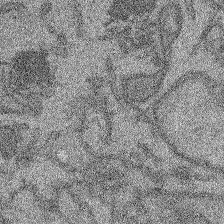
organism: Human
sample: HeLa cells